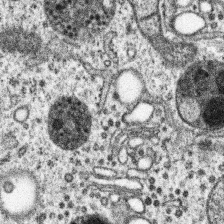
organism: Human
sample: HeLa cells